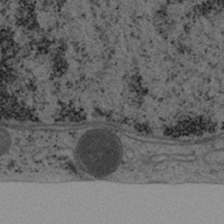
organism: Human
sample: HeLa cells